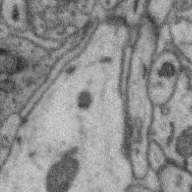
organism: Zebra finch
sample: Brain